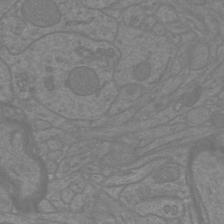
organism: Mouse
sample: Cortical neurons